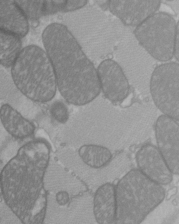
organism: C57BL Mouse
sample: Heart